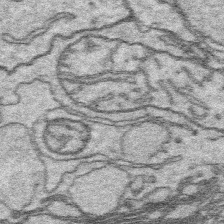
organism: Platynereis dumerilii